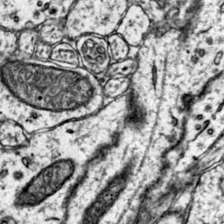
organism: Mouse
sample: Primary visual cortex